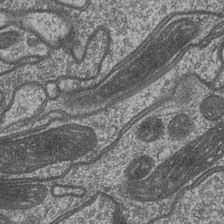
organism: Drosophila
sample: Optic medulla